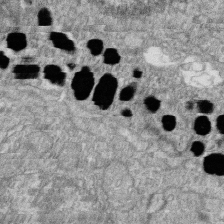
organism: Zebrafish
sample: Cilia; retinal pigment epithelium